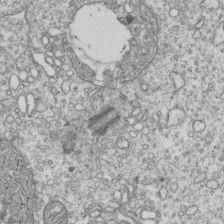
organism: Human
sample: MDA-MB-231 cells